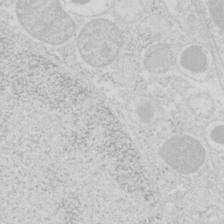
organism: Mouse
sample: Pancreas